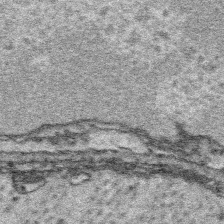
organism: Platynereis dumerilii